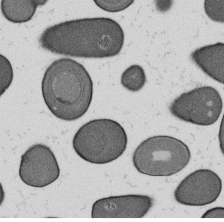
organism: B. subtilis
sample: Bacterial spore